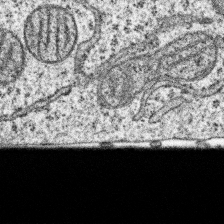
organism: Human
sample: HeLa cells